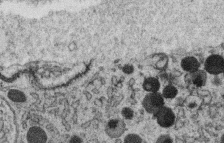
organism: C. elegans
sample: C. elegans oocyte; sperm cells